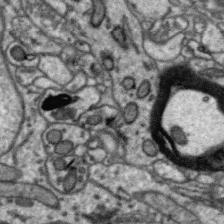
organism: Zebra finch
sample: Brain